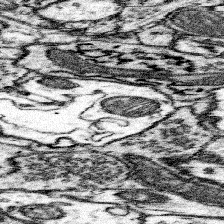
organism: Mouse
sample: Somatosensory cortex neuropil